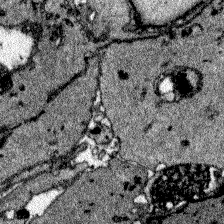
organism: Zebrafish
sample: Larval olfactory bulb